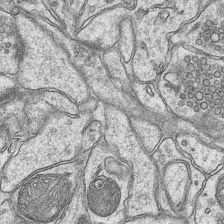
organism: Mouse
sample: CA1 Hippocampus